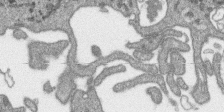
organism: Human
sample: Lung epithelial cells infected with SARS-CoV-2